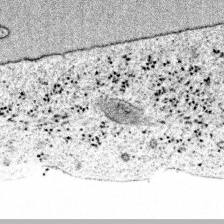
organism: Human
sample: HeLa cells